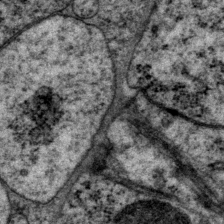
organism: P. pacificus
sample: Pharynx